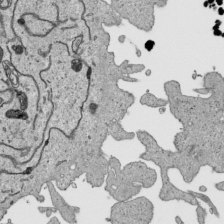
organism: Human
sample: Mitochondria in HCT116 cells